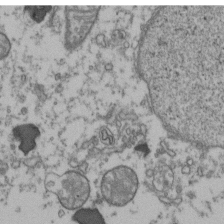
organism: Human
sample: Activated Jurkat CD4+ T cells